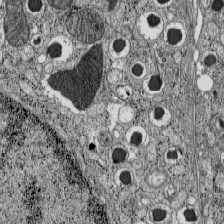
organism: C57BL Mouse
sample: Pancreatic islet